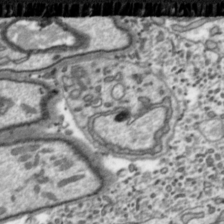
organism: Toxoplasma gondii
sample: Parasites in a vacuole inside a host cell